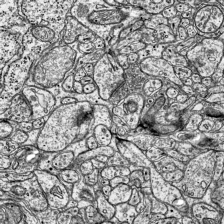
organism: Mouse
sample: Visual Cortex